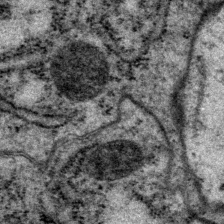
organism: P. pacificus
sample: Pharynx